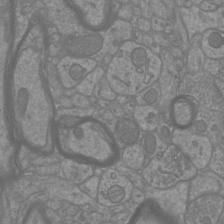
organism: Mouse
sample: Cortical neurons